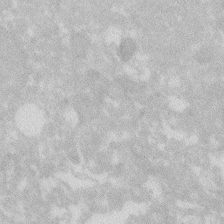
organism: Zebrafish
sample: Macrophage